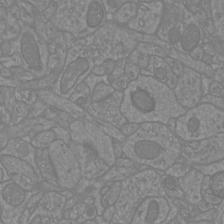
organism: Mouse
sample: Cortical neurons